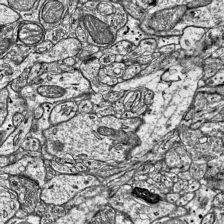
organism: Mouse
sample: Visual Cortex